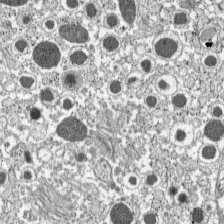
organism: C57BL Mouse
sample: Pancreatic islet